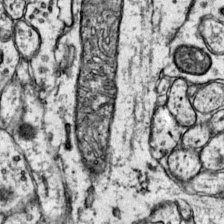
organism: Mouse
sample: Primary visual cortex